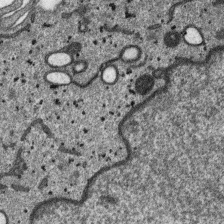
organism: Human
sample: Lung epithelial cells infected with SARS-CoV-2